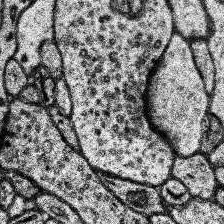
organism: Human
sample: Temporal Lobe